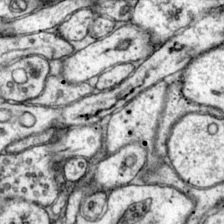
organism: Mouse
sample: Primary visual cortex